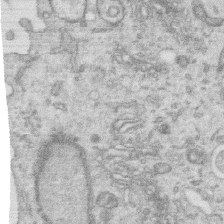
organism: Human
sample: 1205lu cells